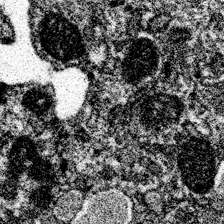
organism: Spongilla lacustris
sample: Neuroid cell